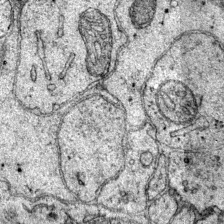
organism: Mouse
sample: Primary visual cortex